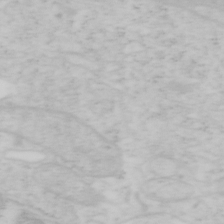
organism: Mouse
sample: OT-I killer T cells with ID8 ovarian cancer cells